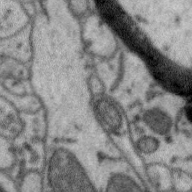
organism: Zebra finch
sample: Brain